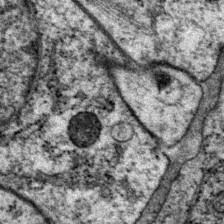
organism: P. pacificus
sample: Pharynx